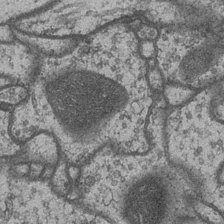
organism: Drosophila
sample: Optic medulla